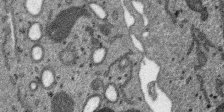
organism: Human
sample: Lung epithelial cells infected with SARS-CoV-2